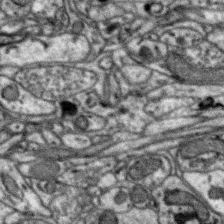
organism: Zebra finch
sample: Brain